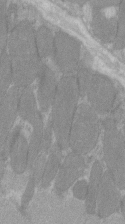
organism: C57BL Mouse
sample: Tibialis anterior muscle cell